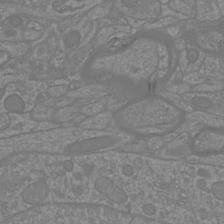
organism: Mouse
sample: Cortical neurons